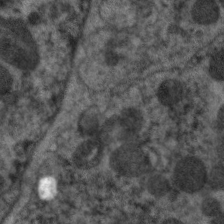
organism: C. elegans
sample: Pharynx